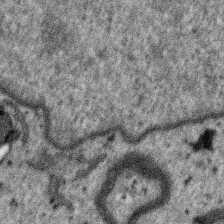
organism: Human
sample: Lung epithelial cells infected with SARS-CoV-2